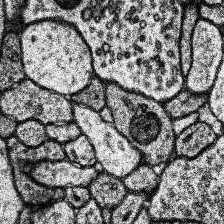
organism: Human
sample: Temporal Lobe